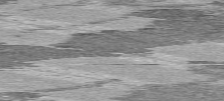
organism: C57BL Mouse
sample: Heart